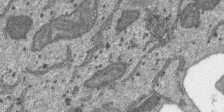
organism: Human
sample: Lung epithelial cells infected with SARS-CoV-2